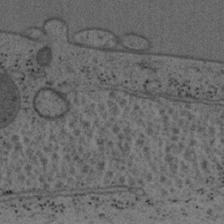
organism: Human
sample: HeLa cells